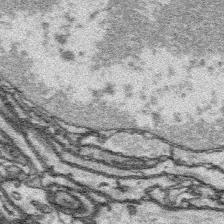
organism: Platynereis dumerilii